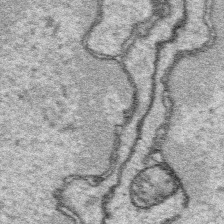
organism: Platynereis dumerilii